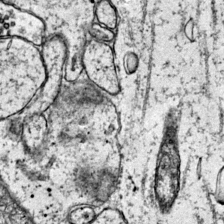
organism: Mouse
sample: Primary visual cortex